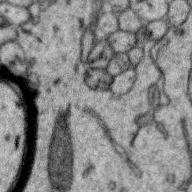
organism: Zebra finch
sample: Brain